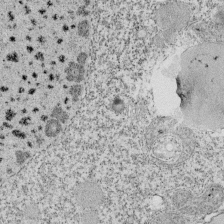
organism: Tetrahymena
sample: Cilia in tetrahymena